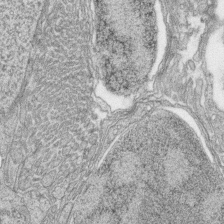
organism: Zebrafish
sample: synaptic ribbons in rod cells and cone cells